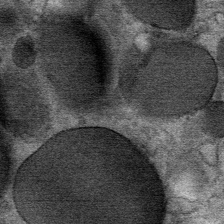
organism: Mouse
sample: Mouse Salivary gland